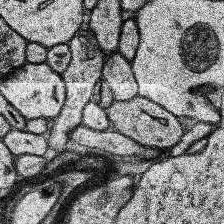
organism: Human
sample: Temporal Lobe